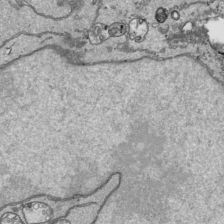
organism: Human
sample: Mitochondria in HCT116 cells